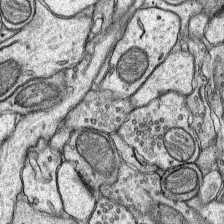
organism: Rat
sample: Hippocampus